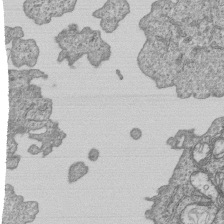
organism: Human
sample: MDA-MB-231 cells